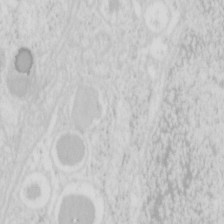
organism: Mouse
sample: Pancreas